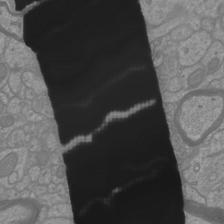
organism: Mouse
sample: Cortical neurons